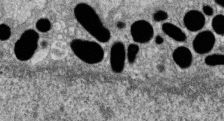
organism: Zebrafish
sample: Cilia; retinal pigment epithelium